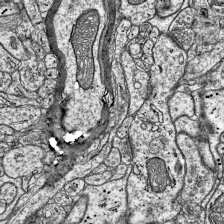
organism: Mouse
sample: Visual Cortex